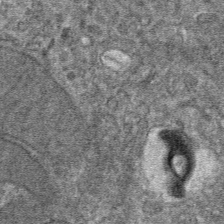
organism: Mouse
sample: Mouse hepatocytes